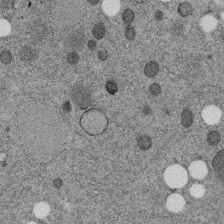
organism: C. elegans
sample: C. elegans embryo early stage